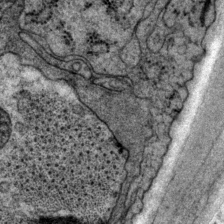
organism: P. pacificus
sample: Pharynx